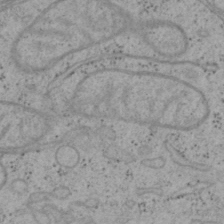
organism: Human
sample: HeLa cells